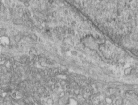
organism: Human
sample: Centriole in RPE cells